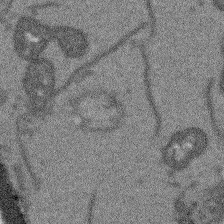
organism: Arabidopsis thaliana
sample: Root tip